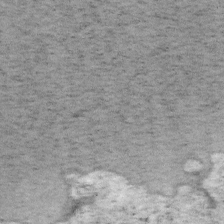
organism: Mouse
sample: OT-I killer T cells with ID8 ovarian cancer cells